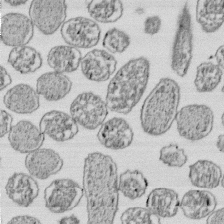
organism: E. coli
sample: Bacterial nucleoid